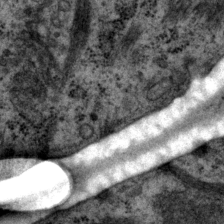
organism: P. pacificus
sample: Pharynx